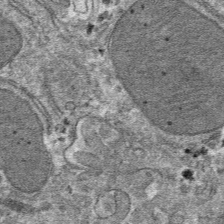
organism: Mouse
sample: Mouse hepatocytes